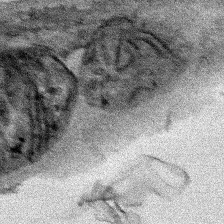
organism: Human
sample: Mitochondria in HCT116 cells